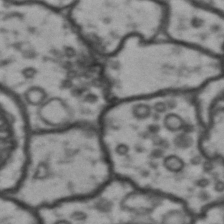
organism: Drosophila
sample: Brain